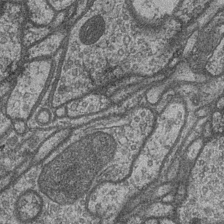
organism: Drosophila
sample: Optic medulla